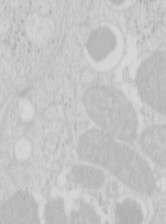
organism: Mouse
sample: Pancreas